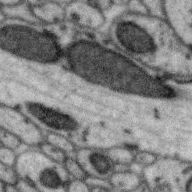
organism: Zebra finch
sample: Brain